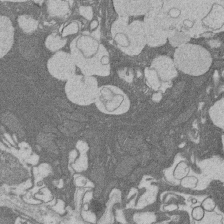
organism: Rat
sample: Salivary granule